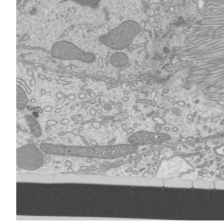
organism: Mouse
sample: Cilia; mouse epididymis